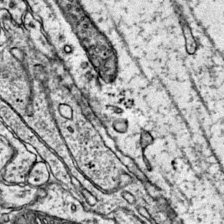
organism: Mouse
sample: Primary visual cortex